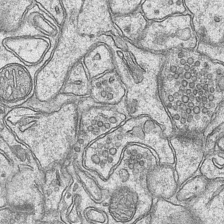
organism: Mouse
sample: CA1 Hippocampus